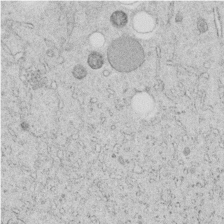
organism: C. elegans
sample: C. elegans embryo early stage